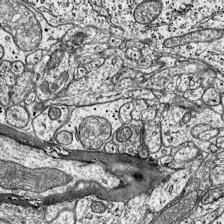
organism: Mouse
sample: Visual Cortex